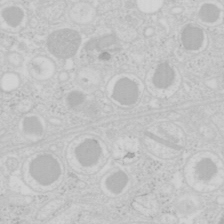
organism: Mouse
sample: Pancreas